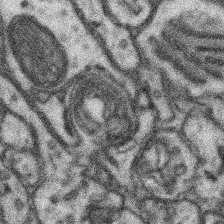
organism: Mouse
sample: Somatosensory cortex neuropil